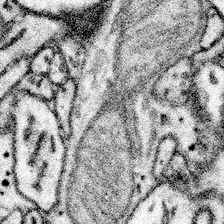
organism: Mouse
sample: Somatosensory cortex neuropil